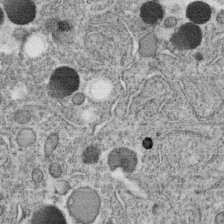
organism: C. elegans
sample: C. elegans oocyte; sperm cells